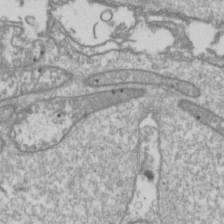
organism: Drosophila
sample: Cell division; meiosis; drosophila spermatocytes